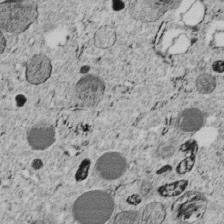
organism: C. elegans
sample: C. elegans embryo early stage